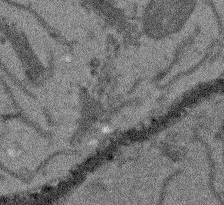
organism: Arabidopsis thaliana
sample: Root tip